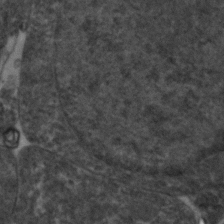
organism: Zebrafish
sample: Zebrafish embryo